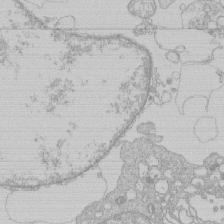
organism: Human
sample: Macrophage cells